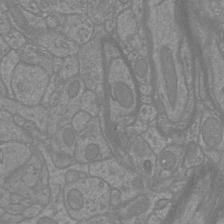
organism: Mouse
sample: Cortical neurons